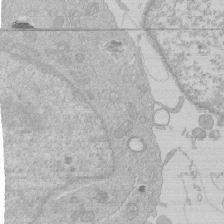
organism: Human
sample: Macrophage cells